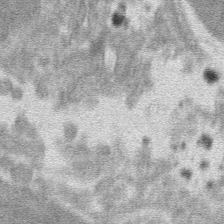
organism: Mouse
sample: Mouse hepatocytes